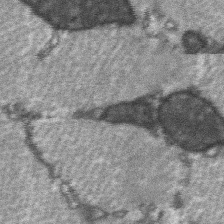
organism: C57BL Mouse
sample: Soleus